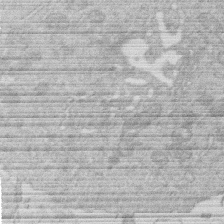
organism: Human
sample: Macrophage cells